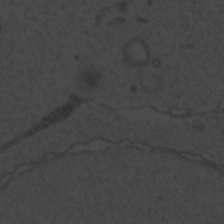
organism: Zebrafish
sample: Macrophage infected with Toxoplasma gondii